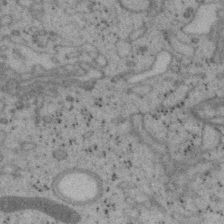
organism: Human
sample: HeLa cells